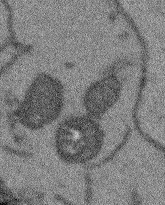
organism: Arabidopsis thaliana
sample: Root tip